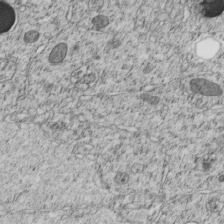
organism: C. elegans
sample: C. elegans embryo early stage